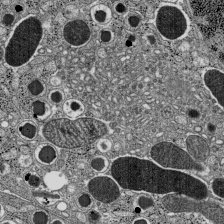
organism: C57BL Mouse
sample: Pancreatic islet